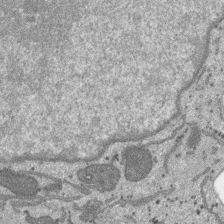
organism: Human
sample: Lung epithelial cells infected with SARS-CoV-2